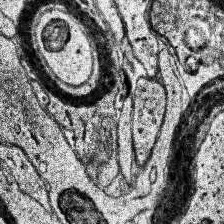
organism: Human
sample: Temporal Lobe